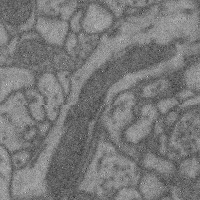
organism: Mouse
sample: Cerebral cortex